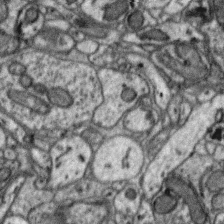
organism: Zebra finch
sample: Brain